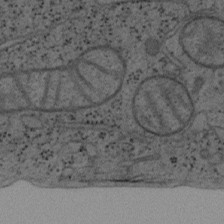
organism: Human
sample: HeLa cells